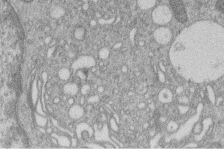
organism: Human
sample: Macrophage cells